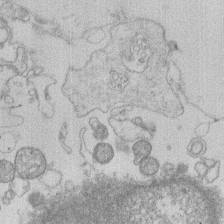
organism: Human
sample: Macrophage cells